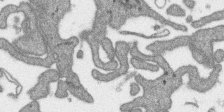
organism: Human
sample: Lung epithelial cells infected with SARS-CoV-2